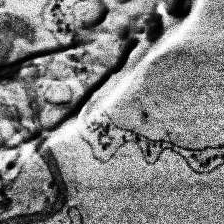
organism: Human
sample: Temporal Lobe